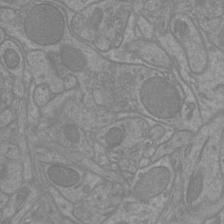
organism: Mouse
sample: Cortical neurons